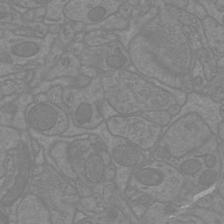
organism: Mouse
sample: Cortical neurons